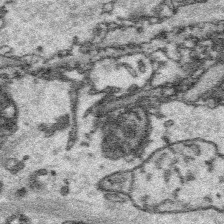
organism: Platynereis dumerilii